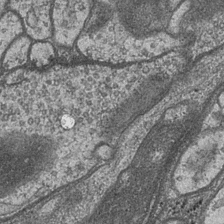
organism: Drosophila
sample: Optic medulla